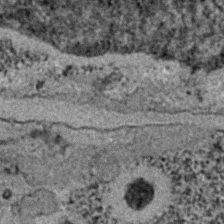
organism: C. elegans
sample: C. elegans embryo